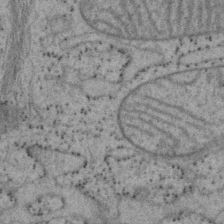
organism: Human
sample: HeLa cells